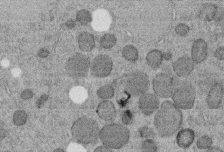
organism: C. elegans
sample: C. elegans embryo early stage